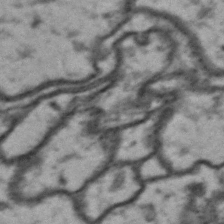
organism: Drosophila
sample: Brain